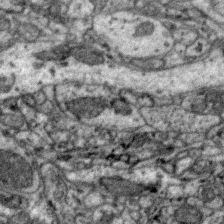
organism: Zebra finch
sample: Brain